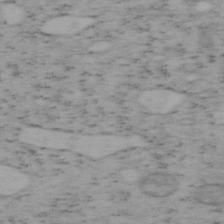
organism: Mouse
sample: OT-I killer T cells with ID8 ovarian cancer cells